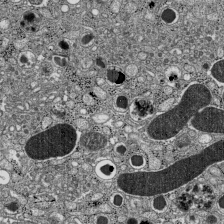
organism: C57BL Mouse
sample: Pancreatic islet